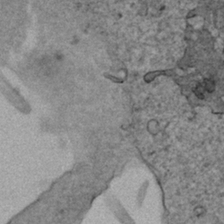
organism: Human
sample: Mitochondria in HCT116 cells